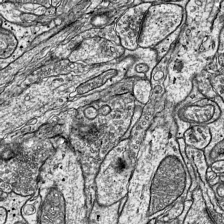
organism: Mouse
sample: Visual Cortex